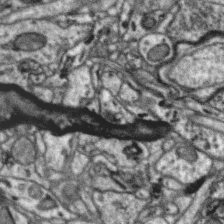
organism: Zebra finch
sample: Brain